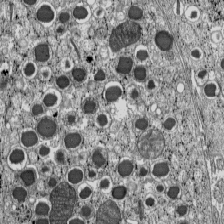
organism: C57BL Mouse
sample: Pancreatic islet